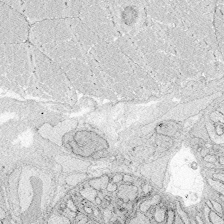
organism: Zebrafish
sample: Whole-Brain